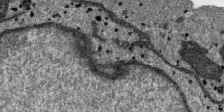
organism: Human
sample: Lung epithelial cells, uninfected (mock) control